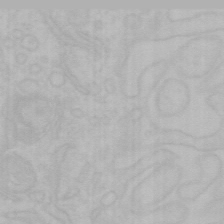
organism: Mouse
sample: Choroid plexus